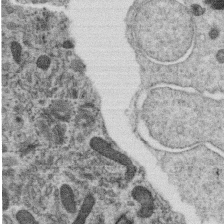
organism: C. elegans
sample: C. elegans oocyte; sperm cells